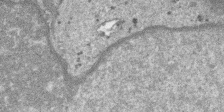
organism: Human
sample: Lung epithelial cells infected with SARS-CoV-2